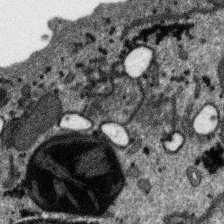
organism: Human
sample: Lung epithelial cells infected with SARS-CoV-2